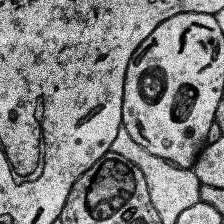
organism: Human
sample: Temporal Lobe